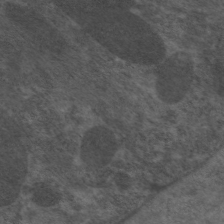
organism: C. elegans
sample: Pharynx